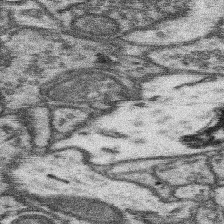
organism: Mouse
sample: Somatosensory cortex neuropil